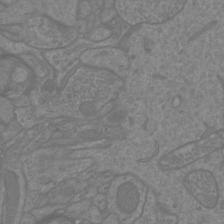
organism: Mouse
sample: Cortical neurons